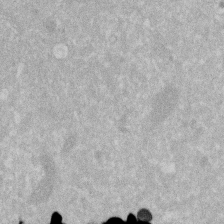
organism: Human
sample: HIV infected U937 cells